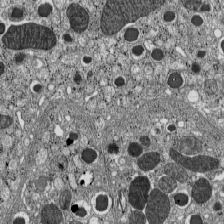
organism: C57BL Mouse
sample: Pancreatic islet